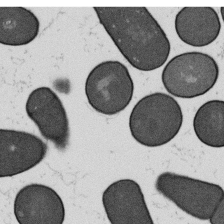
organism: B. subtilis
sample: Bacterial spore